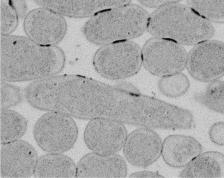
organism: E. coli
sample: Bacterial nucleoid